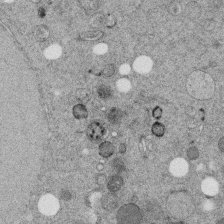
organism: C. elegans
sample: C. elegans embryo early stage